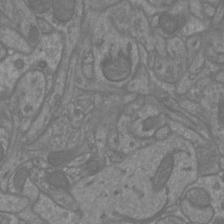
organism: Mouse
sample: Cortical neurons